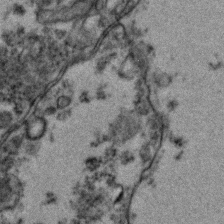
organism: Zebrafish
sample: Zebrafish embryo